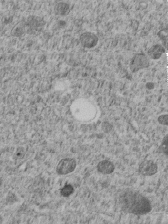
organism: C. elegans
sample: C. elegans embryo early stage